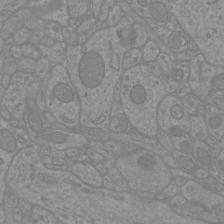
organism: Mouse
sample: Cortical neurons